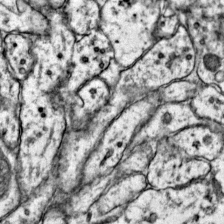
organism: Mouse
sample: Primary visual cortex